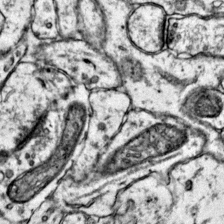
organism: Mouse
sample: Primary visual cortex